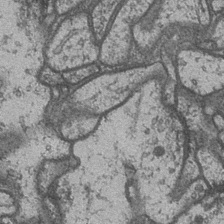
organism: Drosophila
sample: Optic medulla